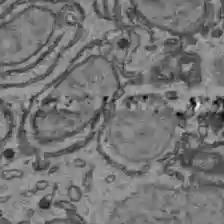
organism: C57BL Mouse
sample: Liver